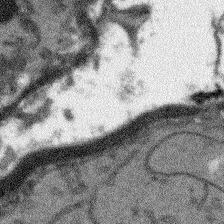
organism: Arabidopsis thaliana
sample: Root tip